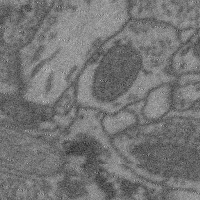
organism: Mouse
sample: Cerebral cortex